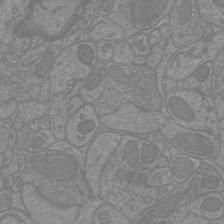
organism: Mouse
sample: Cortical neurons